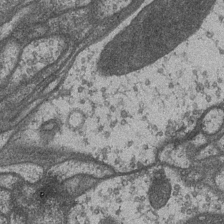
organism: Drosophila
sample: Optic medulla